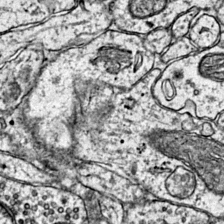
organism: Mouse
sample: Primary visual cortex